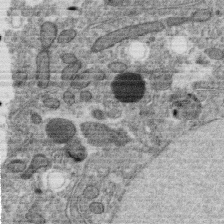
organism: C. elegans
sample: C. elegans oocyte; sperm cells